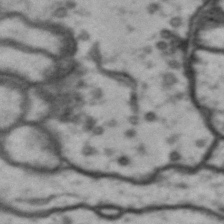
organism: Drosophila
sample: Brain